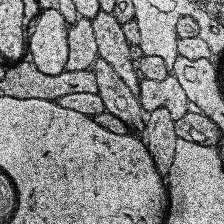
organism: Human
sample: Temporal Lobe